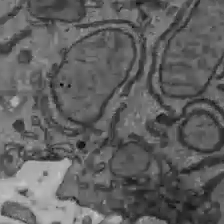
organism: C57BL Mouse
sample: Liver